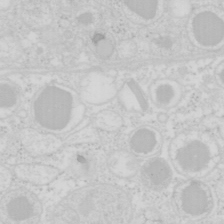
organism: Mouse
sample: Pancreas